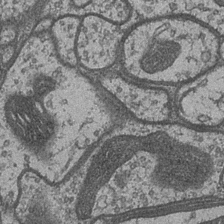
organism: Drosophila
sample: Optic medulla